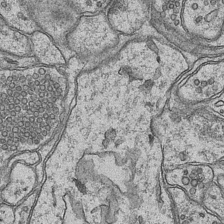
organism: Mouse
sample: CA1 Hippocampus